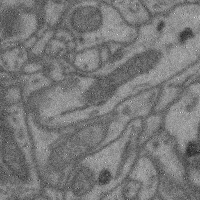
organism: Mouse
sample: Cerebral cortex